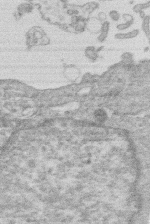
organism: Human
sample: Macrophage cells